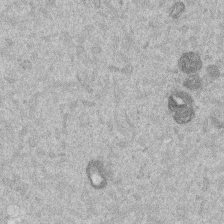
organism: Mouse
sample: Dividing mouse embryo 1 cell stage